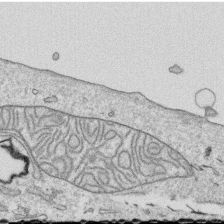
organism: Human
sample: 1205lu cells